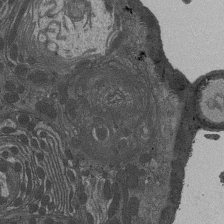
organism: Drosophila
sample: Antenna